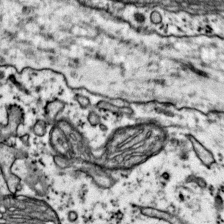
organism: Mouse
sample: Primary visual cortex